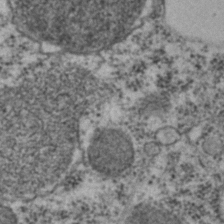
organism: C. elegans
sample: C. elegans embryo